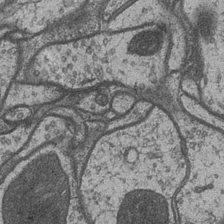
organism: Drosophila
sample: Optic medulla